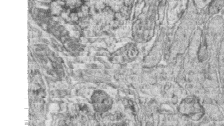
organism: Zebrafish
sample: synaptic ribbons in rod cells and cone cells